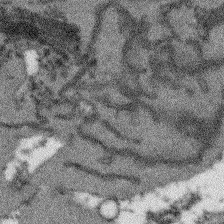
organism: Arabidopsis thaliana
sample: Root tip